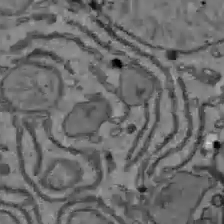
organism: C57BL Mouse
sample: Liver